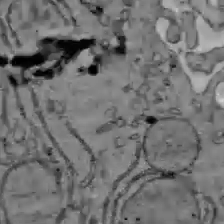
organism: C57BL Mouse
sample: Liver